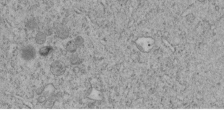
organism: C. elegans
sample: C. elegans embryo early stage